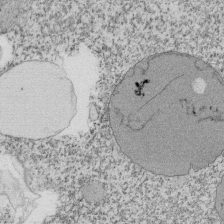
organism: Tetrahymena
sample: Cilia in tetrahymena